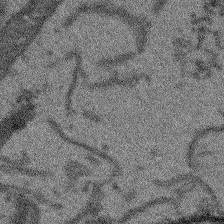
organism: Arabidopsis thaliana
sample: Root tip